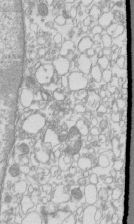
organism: Mouse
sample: Macrophages